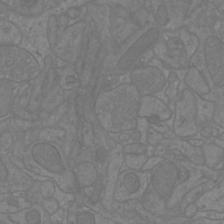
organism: Mouse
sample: Cortical neurons